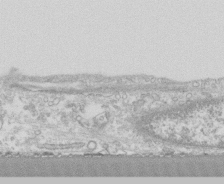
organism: Human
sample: CRL-1474